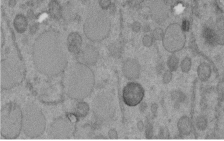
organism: C. elegans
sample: C. elegans embryo early stage